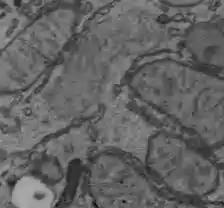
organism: C57BL Mouse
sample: Liver